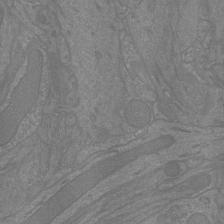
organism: Mouse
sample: Cortical neurons